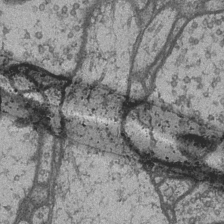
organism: Drosophila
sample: Optic medulla